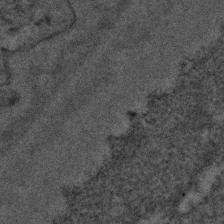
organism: C. elegans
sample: C. elegans embryo